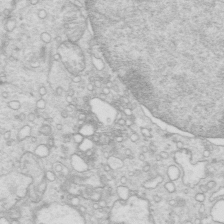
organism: Mouse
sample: Multiciliated cells